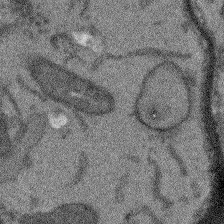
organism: Arabidopsis thaliana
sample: Root tip